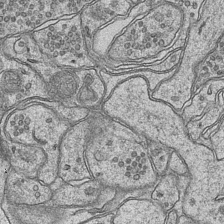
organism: Mouse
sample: CA1 Hippocampus